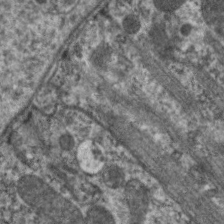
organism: C. elegans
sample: Pharynx